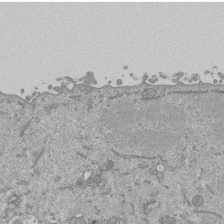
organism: Mouse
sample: ED-1 cell nuclei; centrioles